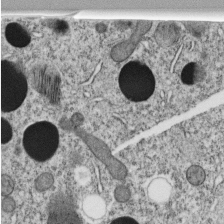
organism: C. elegans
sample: C. elegans embryo early stage